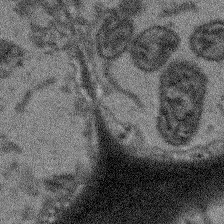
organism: Arabidopsis thaliana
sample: Root tip